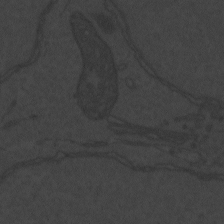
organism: Zebrafish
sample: Macrophage infected with Toxoplasma gondii